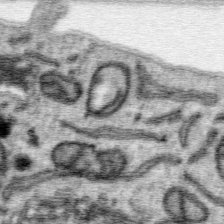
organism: Human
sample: HeLa cells